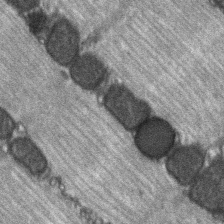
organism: C57BL Mouse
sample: Soleus